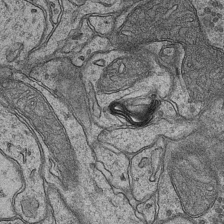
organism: Mouse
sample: CA1 Hippocampus